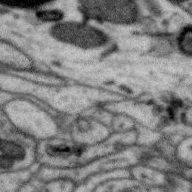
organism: Zebra finch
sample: Brain